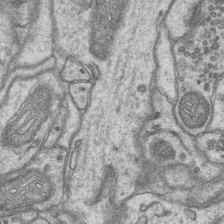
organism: Mouse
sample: CA1 Hippocampus